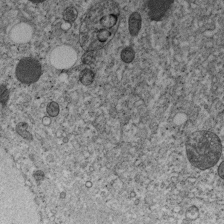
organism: C. elegans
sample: C. elegans embryo early stage